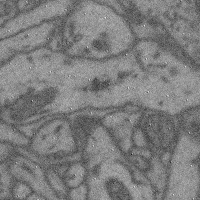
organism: Mouse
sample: Cerebral cortex